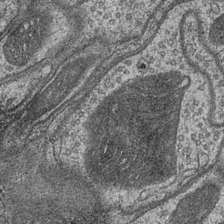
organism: Drosophila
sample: Optic medulla